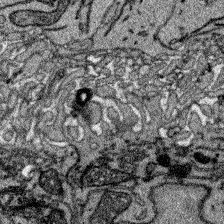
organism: Zebrafish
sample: Larval olfactory bulb